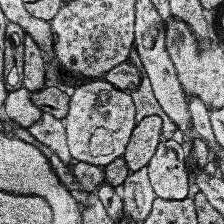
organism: Human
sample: Temporal Lobe